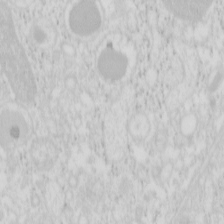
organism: Mouse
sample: Pancreas